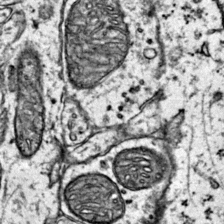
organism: Mouse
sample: Primary visual cortex